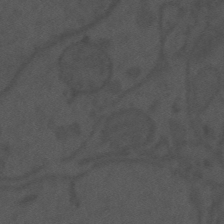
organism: Mouse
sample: Suprachiasmatic nucleus